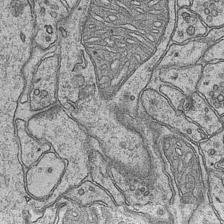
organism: Mouse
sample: CA1 Hippocampus